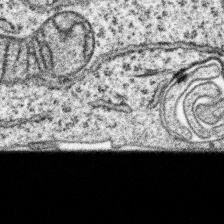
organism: Human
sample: HeLa cells